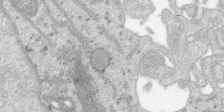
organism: Human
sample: Lung epithelial cells infected with SARS-CoV-2